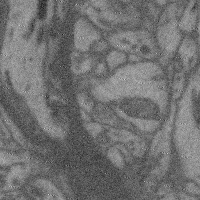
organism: Mouse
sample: Cerebral cortex